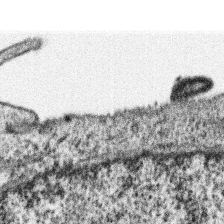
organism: Human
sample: HeLa cells